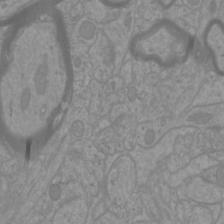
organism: Mouse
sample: Cortical neurons